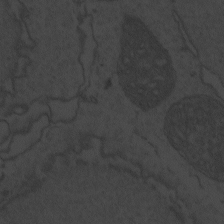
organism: Zebrafish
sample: Macrophage infected with Toxoplasma gondii